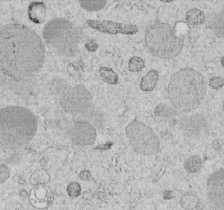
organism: C. elegans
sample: C. elegans embryo early stage